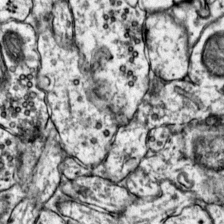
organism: Mouse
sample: Primary visual cortex